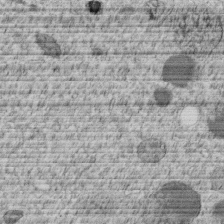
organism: C. elegans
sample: C. elegans embryo early stage